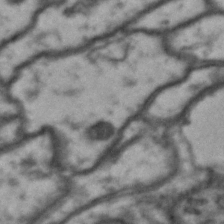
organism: Drosophila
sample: Brain